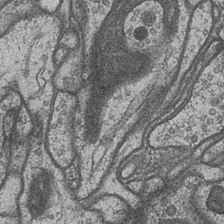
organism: Drosophila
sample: Optic medulla